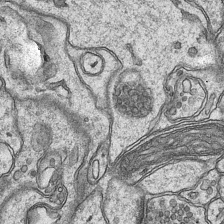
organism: Mouse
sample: CA1 Hippocampus